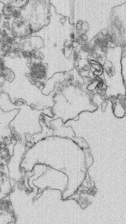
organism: Human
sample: HeLa cell HIV synapse